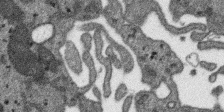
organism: Human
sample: Lung epithelial cells infected with SARS-CoV-2